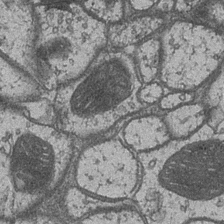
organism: Drosophila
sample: Optic medulla